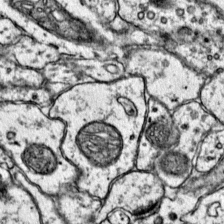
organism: Mouse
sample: Primary visual cortex